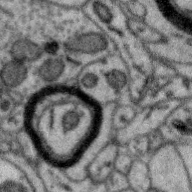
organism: Zebra finch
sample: Brain